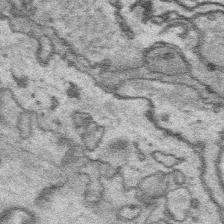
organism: Platynereis dumerilii